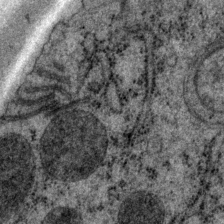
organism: P. pacificus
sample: Pharynx